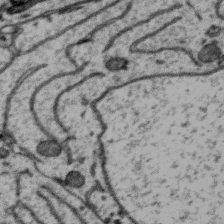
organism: Zebra finch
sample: Brain